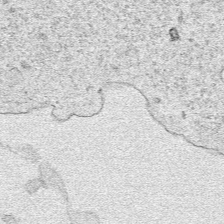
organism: Human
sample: Mitochondria in HCT116 cells